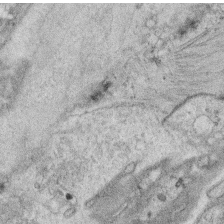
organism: C. elegans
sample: C. elegans oocyte; sperm cells